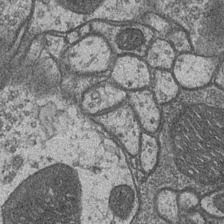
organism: Drosophila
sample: Optic medulla